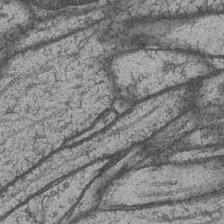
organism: Drosophila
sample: Optic medulla